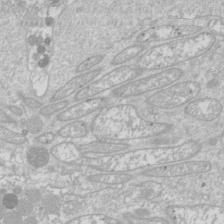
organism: Drosophila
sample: Cell division; meiosis; drosophila spermatocytes